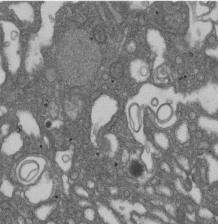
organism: Drosophila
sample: Nephrocyte